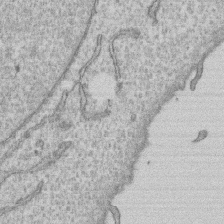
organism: Human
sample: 1205lu cells